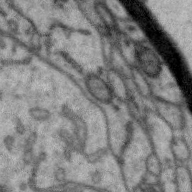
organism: Zebra finch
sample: Brain